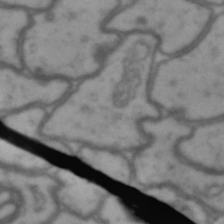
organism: Drosophila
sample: Brain